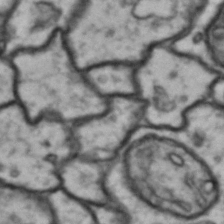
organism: Drosophila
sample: Brain